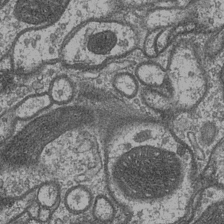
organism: Drosophila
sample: Optic medulla